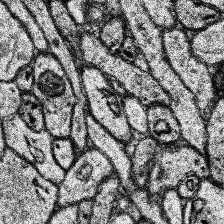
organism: Human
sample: Temporal Lobe